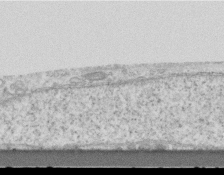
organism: Mouse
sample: Centriole in ependymal cells